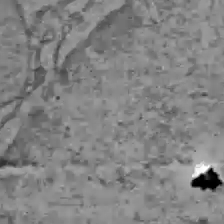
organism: C57BL Mouse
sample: Liver